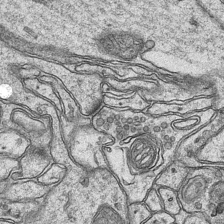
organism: Mouse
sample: CA1 Hippocampus